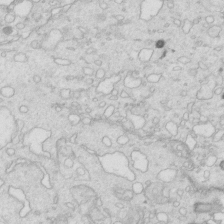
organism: Mouse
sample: Multiciliated cells